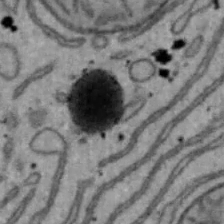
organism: Mouse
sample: Liver